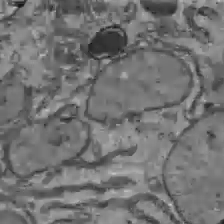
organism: C57BL Mouse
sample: Liver